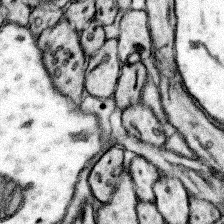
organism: Mouse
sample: Somatosensory cortex neuropil